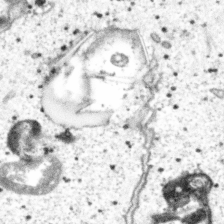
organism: Human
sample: HeLa cells